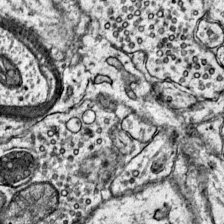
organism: Mouse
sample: Primary visual cortex